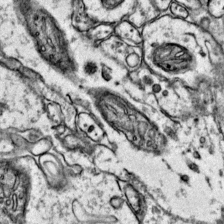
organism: Mouse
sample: Primary visual cortex